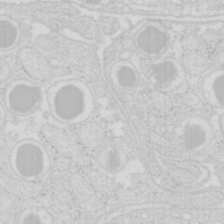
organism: Mouse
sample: Pancreas